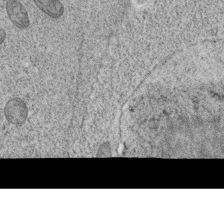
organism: C. elegans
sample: C. elegans oocyte; sperm cells